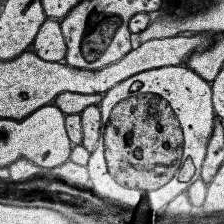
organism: Human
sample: Temporal Lobe